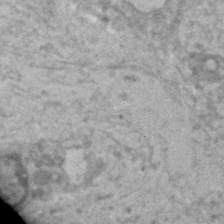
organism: Human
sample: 1205lu cells